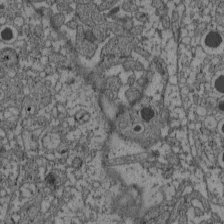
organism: C57BL Mouse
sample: Pancreatic islet